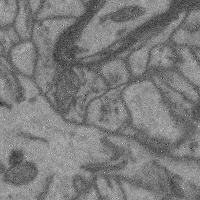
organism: Mouse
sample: Cerebral cortex